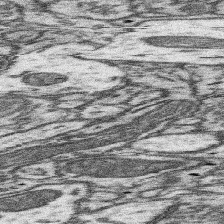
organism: Mouse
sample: Somatosensory cortex neuropil